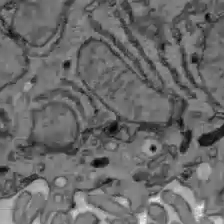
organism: C57BL Mouse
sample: Liver